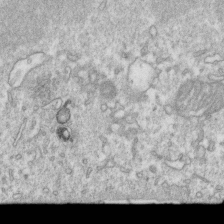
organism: Mouse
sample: Activated OT-1 CD8+ T cells